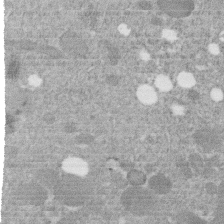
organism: C. elegans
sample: C. elegans embryo early stage